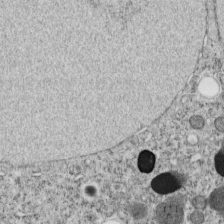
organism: C. elegans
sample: C. elegans embryo early stage